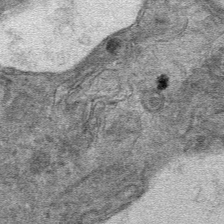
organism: Mouse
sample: Mouse hepatocytes